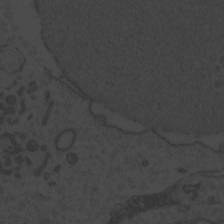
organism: Zebrafish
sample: Macrophage infected with Toxoplasma gondii